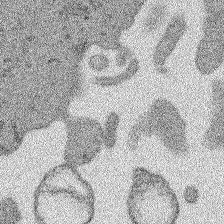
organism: Human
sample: HeLa cells